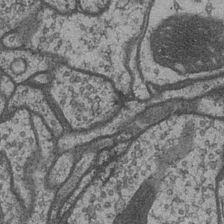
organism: Drosophila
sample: Optic medulla